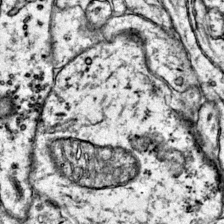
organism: Mouse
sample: Primary visual cortex